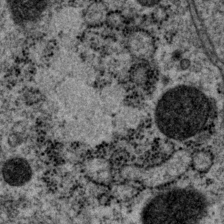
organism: P. pacificus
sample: Pharynx